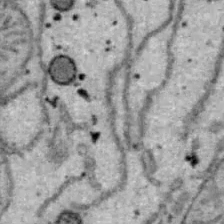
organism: Mouse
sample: Liver from an obese (ob/ob) mouse